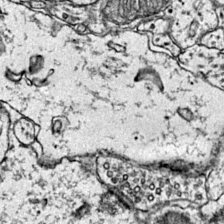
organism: Mouse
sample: Primary visual cortex